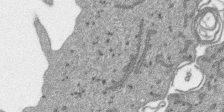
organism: Human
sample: Lung epithelial cells infected with SARS-CoV-2